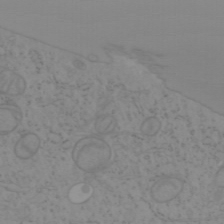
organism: Human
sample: HeLa cells